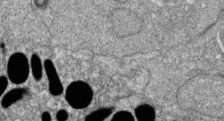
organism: Zebrafish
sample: Cilia; retinal pigment epithelium